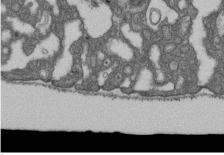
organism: Drosophila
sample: Nephrocyte